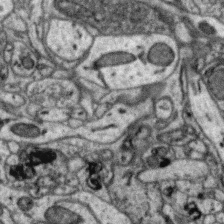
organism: Zebra finch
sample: Brain